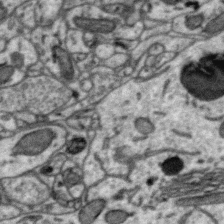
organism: Zebra finch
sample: Brain